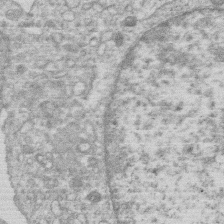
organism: Human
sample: Macrophage cells